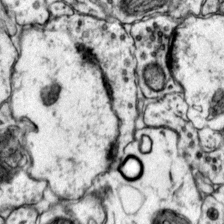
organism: Mouse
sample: Primary visual cortex